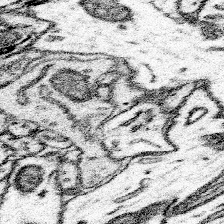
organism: Mouse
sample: Somatosensory cortex neuropil